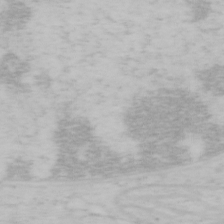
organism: Mouse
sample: OT-I killer T cells with ID8 ovarian cancer cells